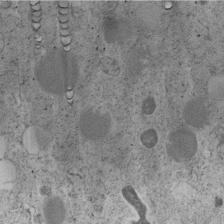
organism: C. elegans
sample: C. elegans embryo early stage